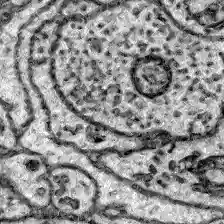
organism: Zebrafish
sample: Brain